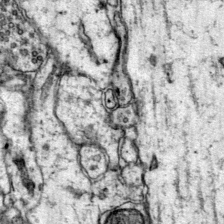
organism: Mouse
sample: Primary visual cortex